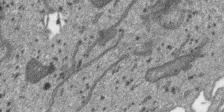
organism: Human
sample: Lung epithelial cells infected with SARS-CoV-2